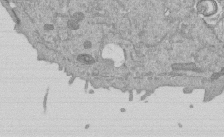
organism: Mouse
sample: ED-1 cell nuclei; centrioles